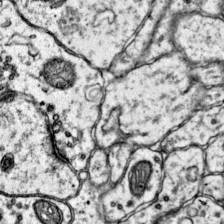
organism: Mouse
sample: Primary visual cortex